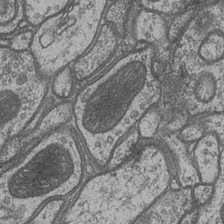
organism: Drosophila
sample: Optic medulla